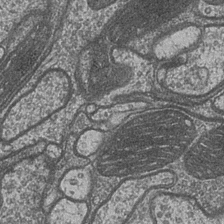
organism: Drosophila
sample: Optic medulla